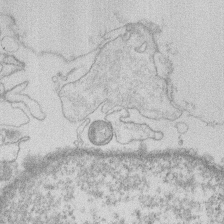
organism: Human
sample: Macrophage cells